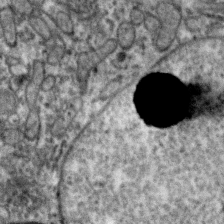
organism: Zebra finch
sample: Brain